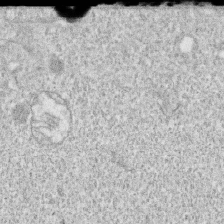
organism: Human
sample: HeLa cell HIV synapse